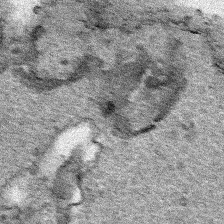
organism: Human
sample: Mitochondria in HCT116 cells